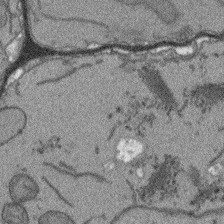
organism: Arabidopsis thaliana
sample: Root tip